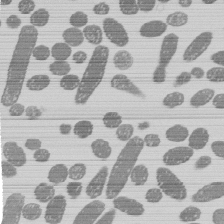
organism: E. coli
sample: Bacterial nucleoid